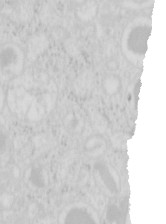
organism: Mouse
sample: Pancreas